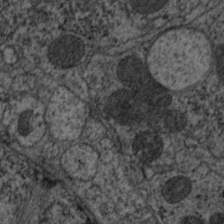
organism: C. elegans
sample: Pharynx